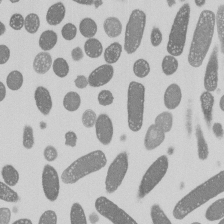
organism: E. coli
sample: Bacterial nucleoid